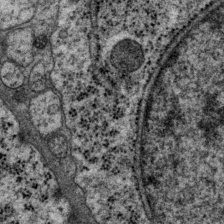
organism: P. pacificus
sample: Pharynx